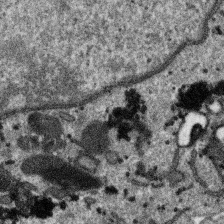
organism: Human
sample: Lung epithelial cells infected with SARS-CoV-2